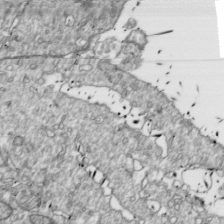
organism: Drosophila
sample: Cell division; meiosis; drosophila spermatocytes